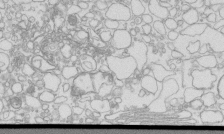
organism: Mouse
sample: Macrophages